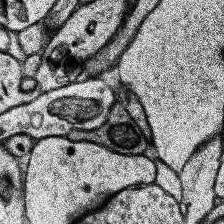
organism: Human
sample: Temporal Lobe